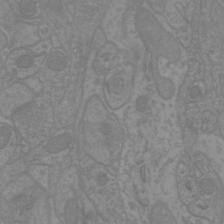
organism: Mouse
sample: Cortical neurons